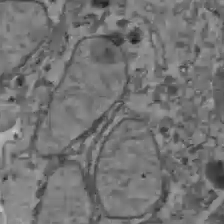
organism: C57BL Mouse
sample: Liver